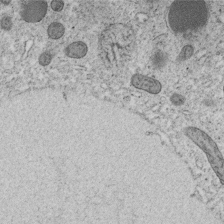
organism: C. elegans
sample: C. elegans embryo early stage